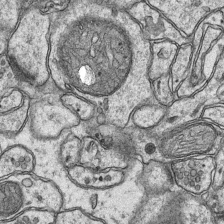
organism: Mouse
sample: CA1 Hippocampus